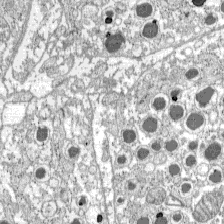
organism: C57BL Mouse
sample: Pancreatic islet